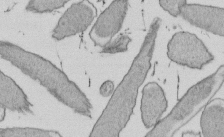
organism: E. coli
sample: Bacterial nucleoid